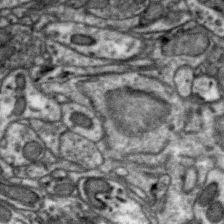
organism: Zebra finch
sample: Brain